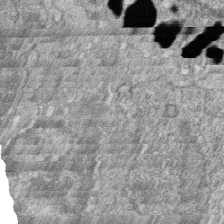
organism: Zebrafish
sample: Cilia; retinal pigment epithelium